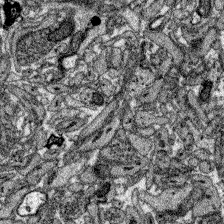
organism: Zebrafish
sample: Larval olfactory bulb